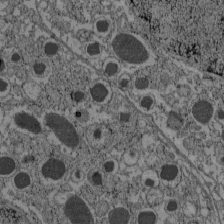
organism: C57BL Mouse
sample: Pancreatic islet